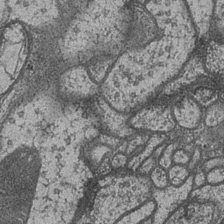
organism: Drosophila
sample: Optic medulla